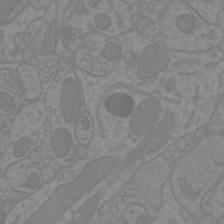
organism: Mouse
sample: Cortical neurons